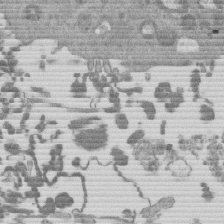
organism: Mouse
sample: Dividing mouse embryo 1 cell stage